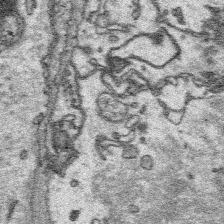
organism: Platynereis dumerilii